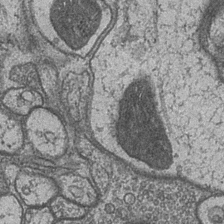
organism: Drosophila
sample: Optic medulla